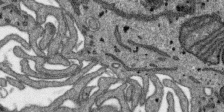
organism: Human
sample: Lung epithelial cells, uninfected (mock) control